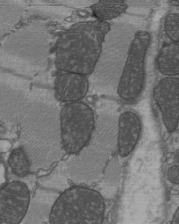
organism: C57BL Mouse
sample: Heart